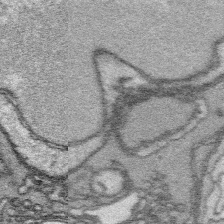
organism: Platynereis dumerilii